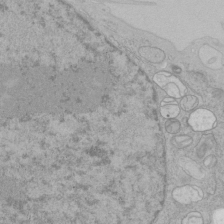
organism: Human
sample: Mitochondria in HCT116 cells